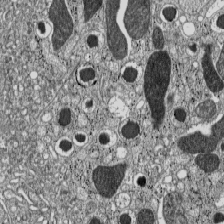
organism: C57BL Mouse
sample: Pancreatic islet